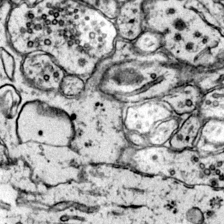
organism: Mouse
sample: Primary visual cortex